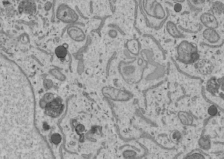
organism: Human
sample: Mitochondria in U2OS cells